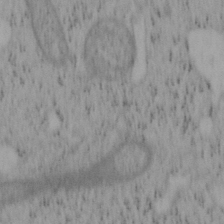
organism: Mouse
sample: OT-I killer T cells with ID8 ovarian cancer cells